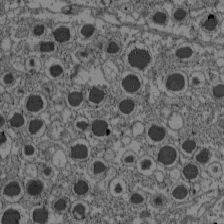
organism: C57BL Mouse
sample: Pancreatic islet